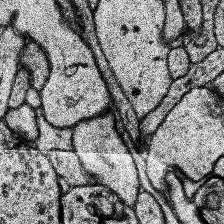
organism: Human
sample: Temporal Lobe